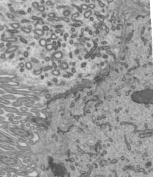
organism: Mouse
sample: Mouse epididymis efferent ductule cilia